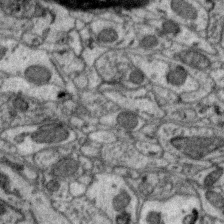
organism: Zebra finch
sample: Brain